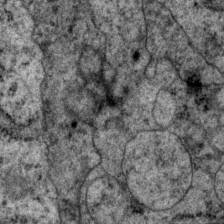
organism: P. pacificus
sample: Pharynx